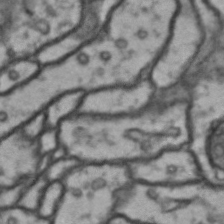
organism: Drosophila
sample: Brain